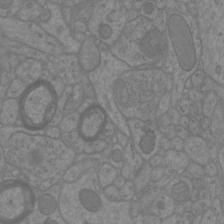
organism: Mouse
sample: Cortical neurons